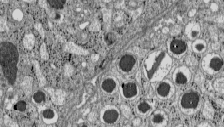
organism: C57BL Mouse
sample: Pancreatic islet